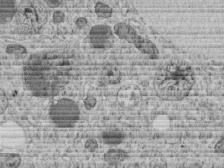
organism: C. elegans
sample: C. elegans embryo early stage